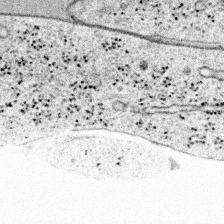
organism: Human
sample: HeLa cells